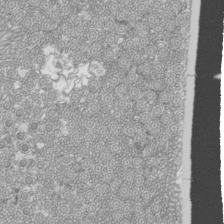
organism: Mouse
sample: Cilia; mouse epididymis